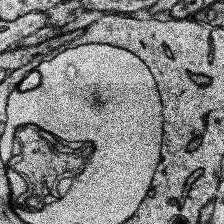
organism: Human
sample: Temporal Lobe